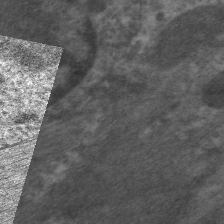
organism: C. elegans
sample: Pharynx